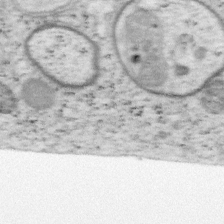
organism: Mouse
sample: OT-I killer T cells with ID8 ovarian cancer cells